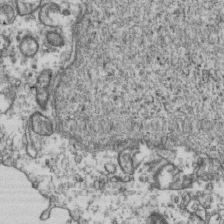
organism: Human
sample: Activated Jurkat CD4+ T cells